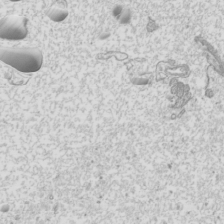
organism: Mouse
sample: Cilia; mouse epididymis